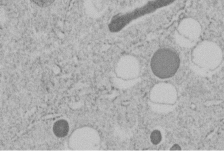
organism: C. elegans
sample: C. elegans embryo early stage